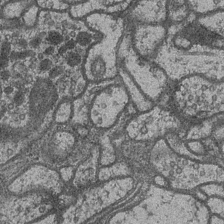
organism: Drosophila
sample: Optic medulla